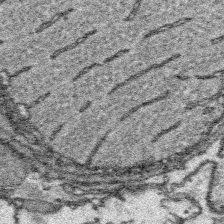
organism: Platynereis dumerilii